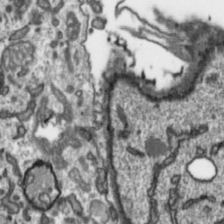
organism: Toxoplasma gondii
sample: Parasites in a vacuole inside a host cell